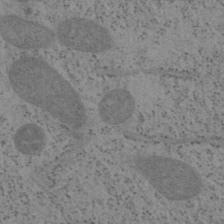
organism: Mouse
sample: OT-I killer T cells with ID8 ovarian cancer cells